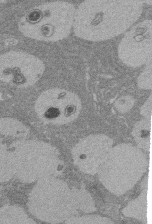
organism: Rat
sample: Salivary granule